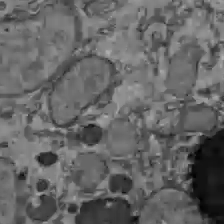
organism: C57BL Mouse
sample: Liver